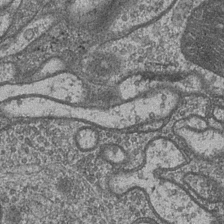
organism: Drosophila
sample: Optic medulla